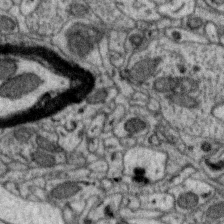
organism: Zebra finch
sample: Brain